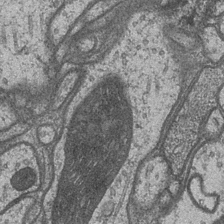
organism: Drosophila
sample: Optic medulla